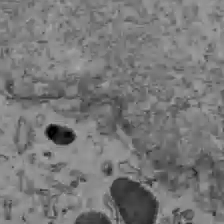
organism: C57BL Mouse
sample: Liver